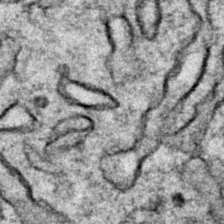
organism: Zebrafish